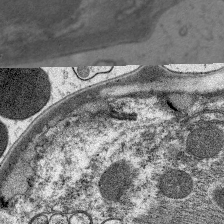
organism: C. elegans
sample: Pharynx